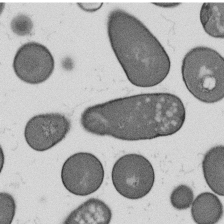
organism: B. subtilis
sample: Bacterial spore